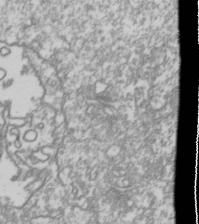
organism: Drosophila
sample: Cell division; meiosis; drosophila spermatocytes